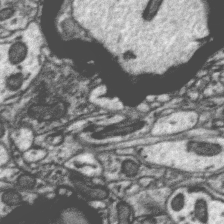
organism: Zebra finch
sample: Brain